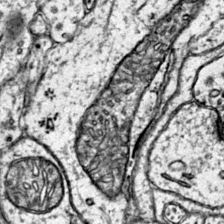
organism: Mouse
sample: Primary visual cortex